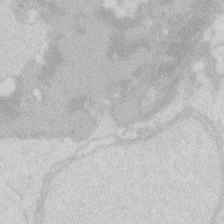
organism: Zebrafish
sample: Macrophage